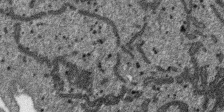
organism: Human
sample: Lung epithelial cells infected with SARS-CoV-2